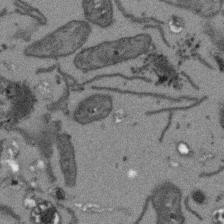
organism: Arabidopsis thaliana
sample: Root tip